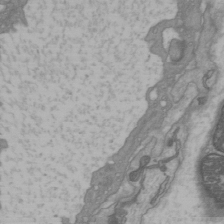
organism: C57BL Mouse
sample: Heart